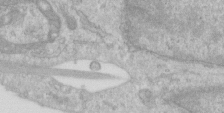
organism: Human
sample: Centriole in RPE cells